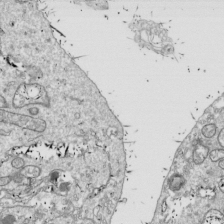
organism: Drosophila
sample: Cell division; meiosis; drosophila spermatocytes